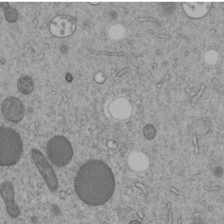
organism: C. elegans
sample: C. elegans embryo early stage